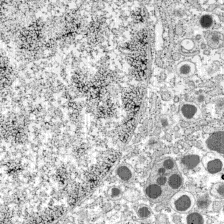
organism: C57BL Mouse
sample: Pancreatic islet